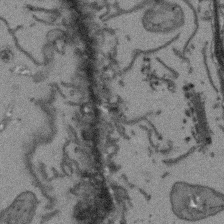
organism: Arabidopsis thaliana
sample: Root tip